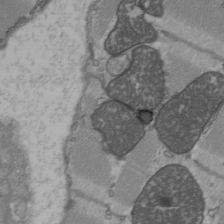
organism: C57BL Mouse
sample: Heart